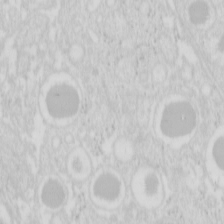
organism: Mouse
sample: Pancreas